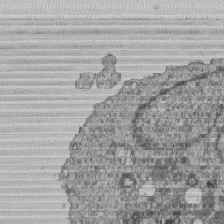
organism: Human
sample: MDA-MB-231 cells